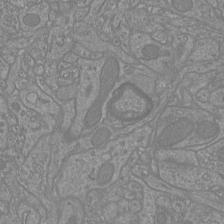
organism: Mouse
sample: Cortical neurons